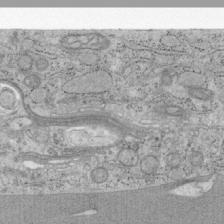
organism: Human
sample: HeLa cells